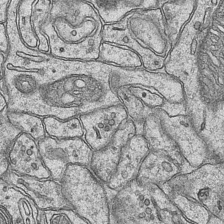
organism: Mouse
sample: CA1 Hippocampus